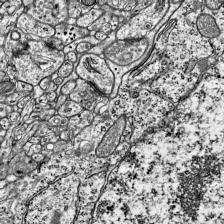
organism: Mouse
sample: Visual Cortex